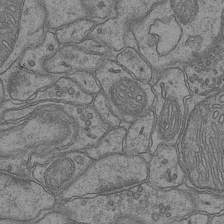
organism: Mouse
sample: CA1 Hippocampus